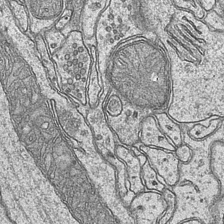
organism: Mouse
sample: CA1 Hippocampus